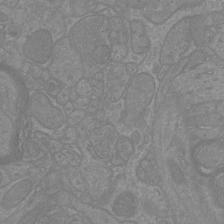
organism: Mouse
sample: Cortical neurons